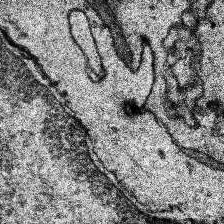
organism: Human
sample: Temporal Lobe